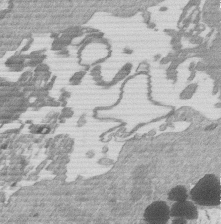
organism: Mouse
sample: Dividing mouse embryo 1 cell stage